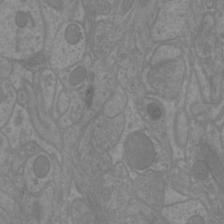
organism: Mouse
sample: Cortical neurons